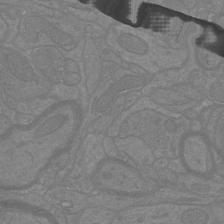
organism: Mouse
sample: Cortical neurons